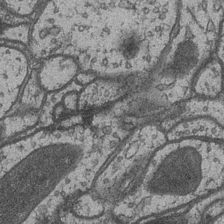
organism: Drosophila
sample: Optic medulla